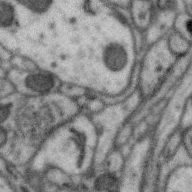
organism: Zebra finch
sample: Brain